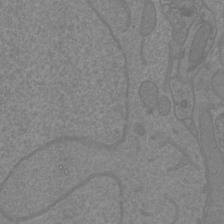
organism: Mouse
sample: Cortical neurons